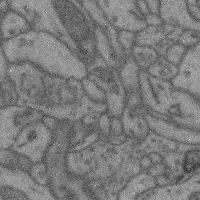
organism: Mouse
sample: Cerebral cortex